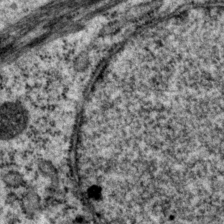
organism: P. pacificus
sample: Pharynx